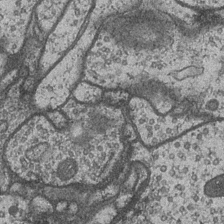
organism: Drosophila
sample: Optic medulla